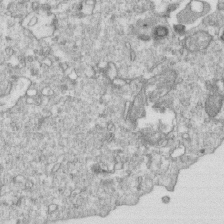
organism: Mouse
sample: Activated OT-1 CD8+ T cells